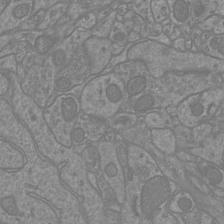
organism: Mouse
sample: Cortical neurons